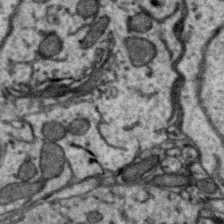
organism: Zebra finch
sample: Brain